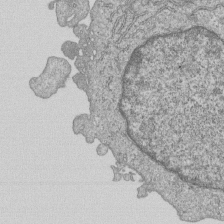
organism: Human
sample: MDA-MB-231 cells